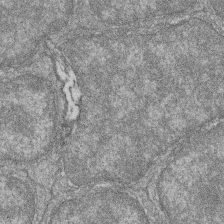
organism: Zebrafish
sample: Cilia; retinal pigment epithelium